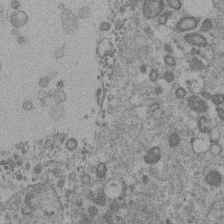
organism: Mouse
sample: Dividing mouse embryo 1 cell stage